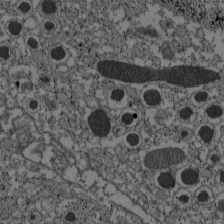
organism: C57BL Mouse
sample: Pancreatic islet